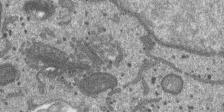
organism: Human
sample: Lung epithelial cells infected with SARS-CoV-2